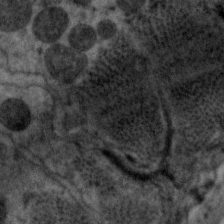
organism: C. elegans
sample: Pharynx